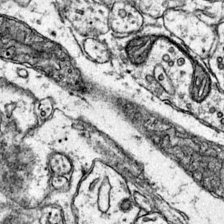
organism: Mouse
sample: Primary visual cortex